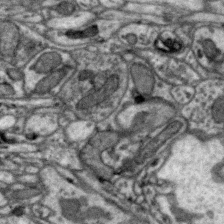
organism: Zebra finch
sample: Brain